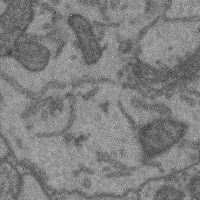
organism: Mouse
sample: Cerebral cortex